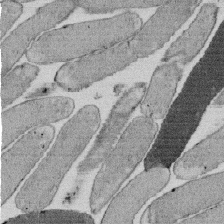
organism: E. coli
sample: Bacterial nucleoid